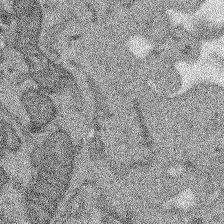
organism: Human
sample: HeLa cells